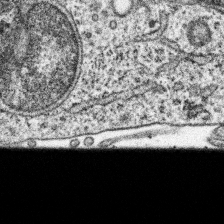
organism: Human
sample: HeLa cells